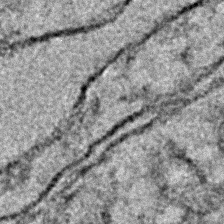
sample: Trachea